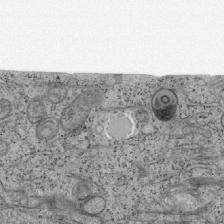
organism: Human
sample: HeLa cells